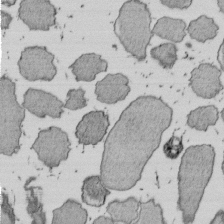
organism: E. coli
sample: Bacterial nucleoid